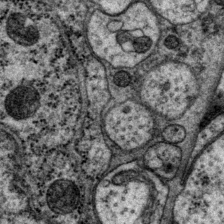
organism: P. pacificus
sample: Pharynx